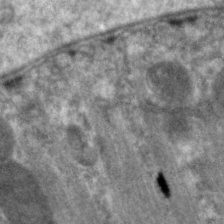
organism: C. elegans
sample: Pharynx